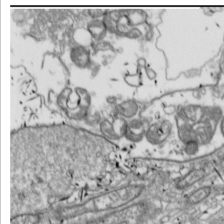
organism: Drosophila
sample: Cell division; meiosis; drosophila spermatocytes